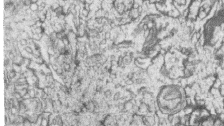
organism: Zebrafish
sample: synaptic ribbons in rod cells and cone cells